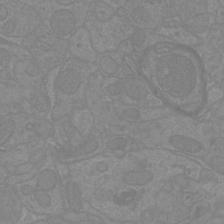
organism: Mouse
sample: Cortical neurons